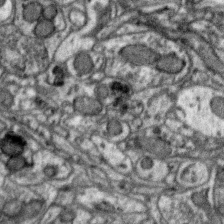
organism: Zebra finch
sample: Brain